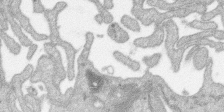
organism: Human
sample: Lung epithelial cells infected with SARS-CoV-2